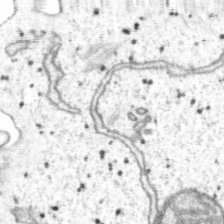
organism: Human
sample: HeLa cells